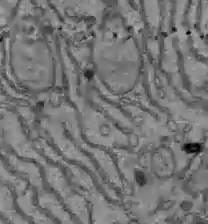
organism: C57BL Mouse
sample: Liver